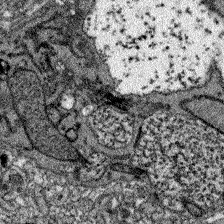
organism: Zebrafish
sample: Larval olfactory bulb